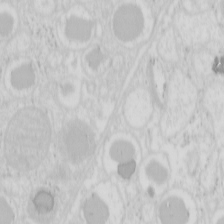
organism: Mouse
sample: Pancreas